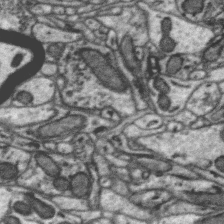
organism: Zebra finch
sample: Brain